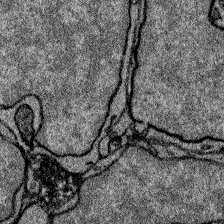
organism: Zebrafish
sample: Larval olfactory bulb